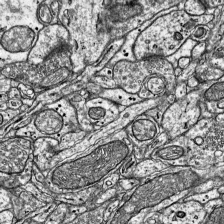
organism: Mouse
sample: Visual Cortex